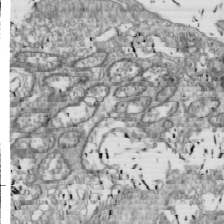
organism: Drosophila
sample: Cell division; meiosis; drosophila spermatocytes